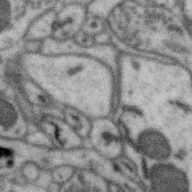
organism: Zebra finch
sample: Brain